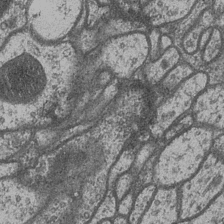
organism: Drosophila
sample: Optic medulla